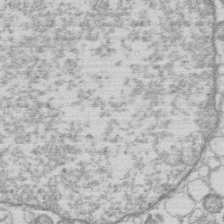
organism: Human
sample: Macrophage cells